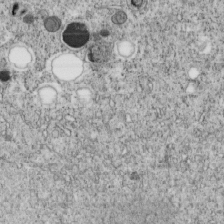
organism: C. elegans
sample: C. elegans embryo early stage